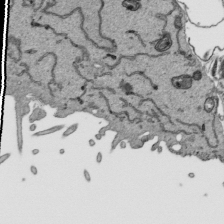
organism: Human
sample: Mitochondria in HCT116 cells